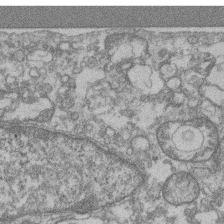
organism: Mouse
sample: T cell stromal cell synapse